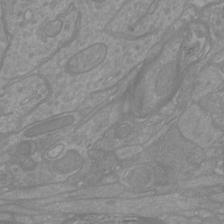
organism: Mouse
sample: Cortical neurons